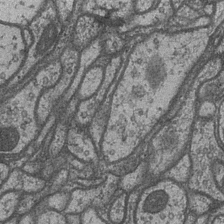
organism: Drosophila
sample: Optic medulla